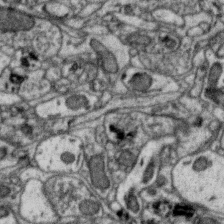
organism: Zebra finch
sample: Brain